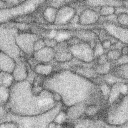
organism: Rabbit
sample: Retina